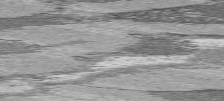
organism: C57BL Mouse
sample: Heart